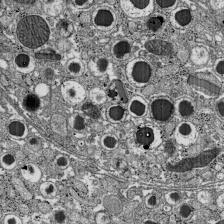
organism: C57BL Mouse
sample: Pancreatic islet